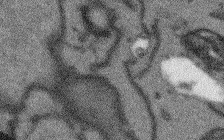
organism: Arabidopsis thaliana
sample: Root tip